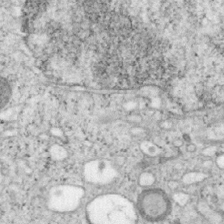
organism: Mouse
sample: OT-I killer T cells with ID8 ovarian cancer cells